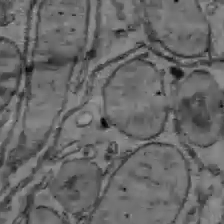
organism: C57BL Mouse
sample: Liver